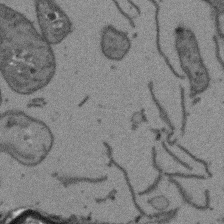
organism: Arabidopsis thaliana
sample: Root tip